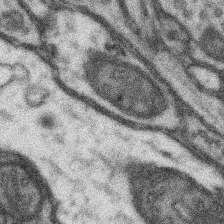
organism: Mouse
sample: Somatosensory cortex neuropil